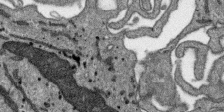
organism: Human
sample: Lung epithelial cells, uninfected (mock) control